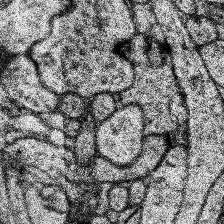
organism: Human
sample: Temporal Lobe